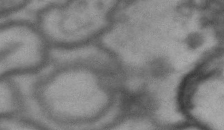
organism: Drosophila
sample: Brain